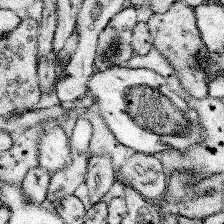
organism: Mouse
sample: Somatosensory cortex neuropil